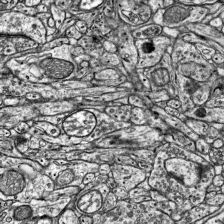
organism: Mouse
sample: Visual Cortex